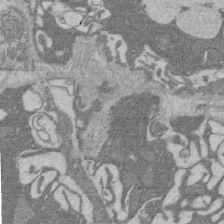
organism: Rat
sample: Salivary granule